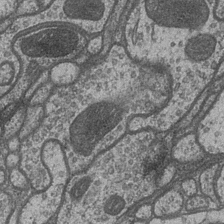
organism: Drosophila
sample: Optic medulla